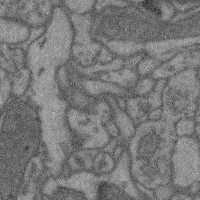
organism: Mouse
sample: Cerebral cortex